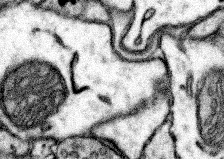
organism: Mouse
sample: Somatosensory cortex neuropil